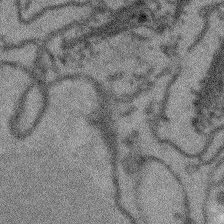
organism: Arabidopsis thaliana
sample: Root tip